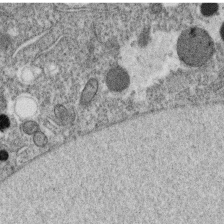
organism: C. elegans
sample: C. elegans oocyte; sperm cells